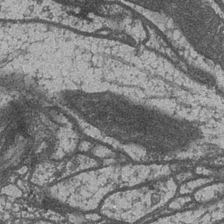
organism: Drosophila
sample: Optic medulla